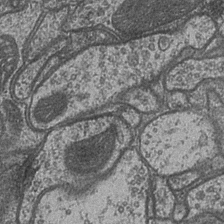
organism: Drosophila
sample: Optic medulla